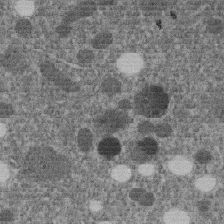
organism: C. elegans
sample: C. elegans embryo early stage